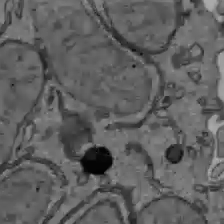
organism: C57BL Mouse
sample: Liver